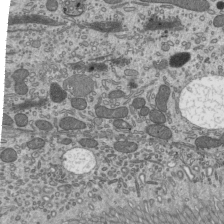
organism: Mouse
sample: Mouse epididymis efferent ductule cilia